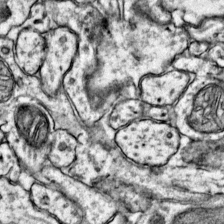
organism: Mouse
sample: Primary visual cortex